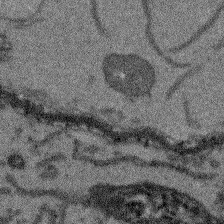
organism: Arabidopsis thaliana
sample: Root tip